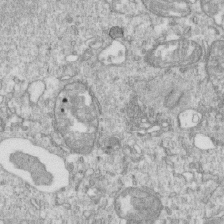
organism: Mouse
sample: Activated OT-1 CD8+ T cells